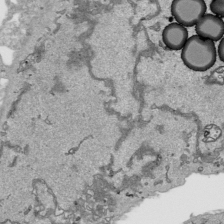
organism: Human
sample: Mitochondria in HCT116 cells